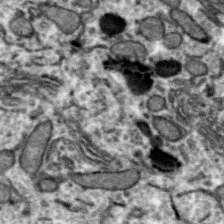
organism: Zebra finch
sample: Brain